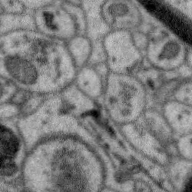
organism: Zebra finch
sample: Brain